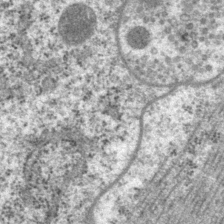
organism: P. pacificus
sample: Pharynx